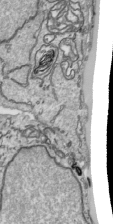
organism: Human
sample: Mitochondria in HCT116 cells